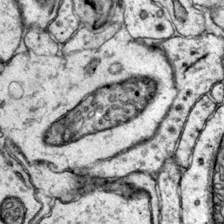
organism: Mouse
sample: Primary visual cortex